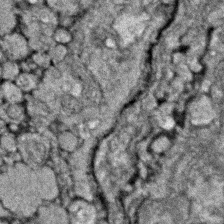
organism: Zebrafish